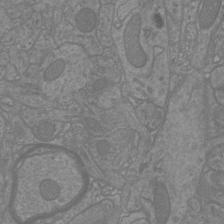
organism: Mouse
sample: Cortical neurons